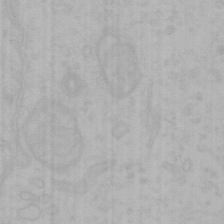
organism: Mouse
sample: Choroid plexus